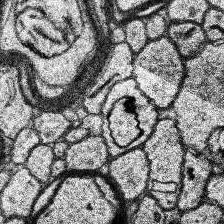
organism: Human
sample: Temporal Lobe